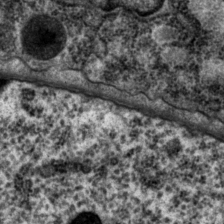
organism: P. pacificus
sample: Pharynx